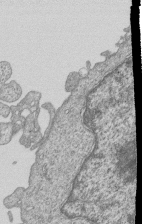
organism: Human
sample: MDA-MB-231 cells